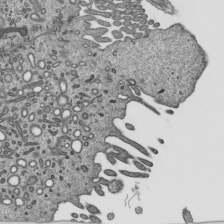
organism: Mouse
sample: Mouse epididymis efferent ductule cilia